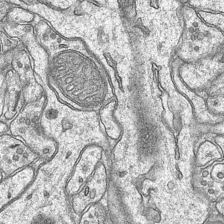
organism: Mouse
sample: CA1 Hippocampus